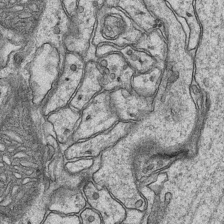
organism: Mouse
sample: CA1 Hippocampus